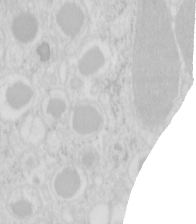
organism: Mouse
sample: Pancreas